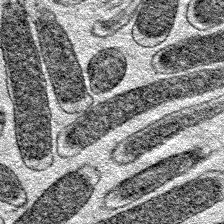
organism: E. coli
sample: E. Coli Bacteria